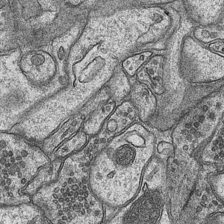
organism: Mouse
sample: CA1 Hippocampus